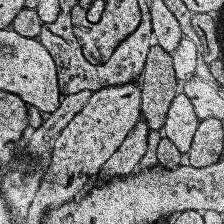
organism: Human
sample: Temporal Lobe